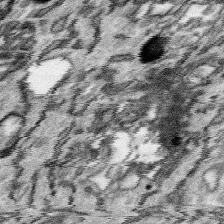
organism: Human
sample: HeLa cells